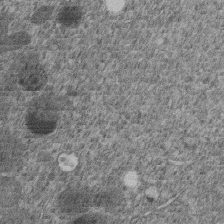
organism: C. elegans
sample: C. elegans embryo early stage